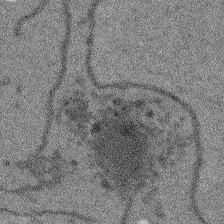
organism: Arabidopsis thaliana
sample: Root tip